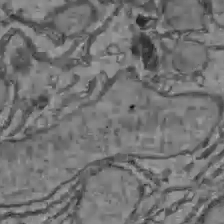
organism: C57BL Mouse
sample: Liver